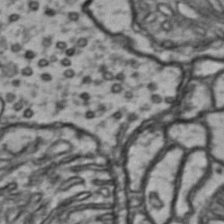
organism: Drosophila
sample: Brain